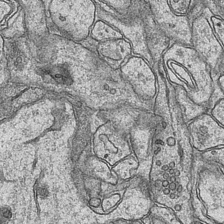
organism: Mouse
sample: CA1 Hippocampus